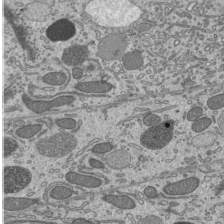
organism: Mouse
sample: Mouse epididymis efferent ductule cilia